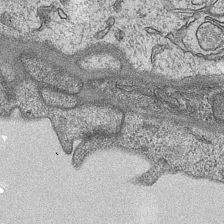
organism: Mouse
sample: CA1 Hippocampus